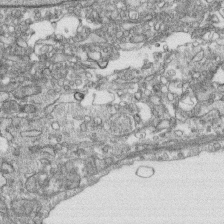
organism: Human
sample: CRL-1474